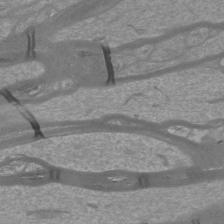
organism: Mouse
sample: Cortical neurons